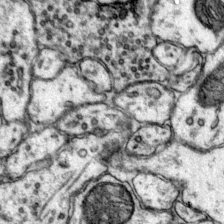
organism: Mouse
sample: Primary visual cortex